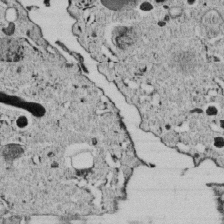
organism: C. elegans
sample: C. elegans embryo early stage